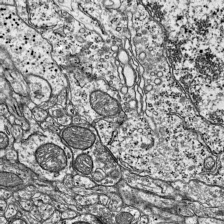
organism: Mouse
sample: Visual Cortex